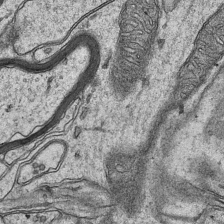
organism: Mouse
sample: CA1 Hippocampus